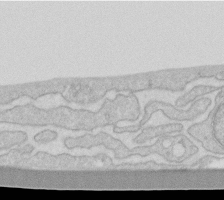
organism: Human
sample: Fibroblast cells